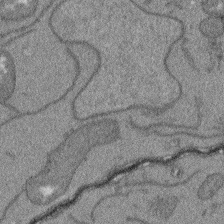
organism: Arabidopsis thaliana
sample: Root tip